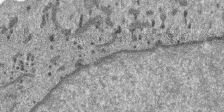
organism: Human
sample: Lung epithelial cells infected with SARS-CoV-2